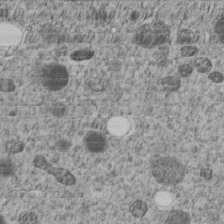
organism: C. elegans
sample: C. elegans embryo early stage